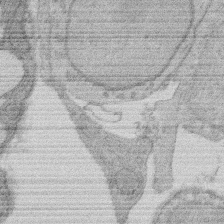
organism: Rat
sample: Salivary granule